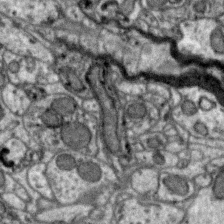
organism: Zebra finch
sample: Brain